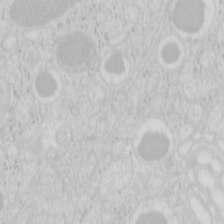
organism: Mouse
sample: Pancreas